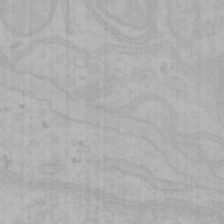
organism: Mouse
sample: Choroid plexus